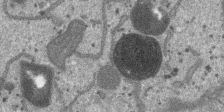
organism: Human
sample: Lung epithelial cells infected with SARS-CoV-2